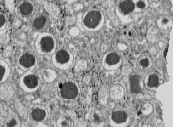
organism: C57BL Mouse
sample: Pancreatic islet